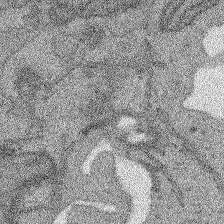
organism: Human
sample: HeLa cells